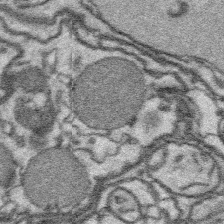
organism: Platynereis dumerilii